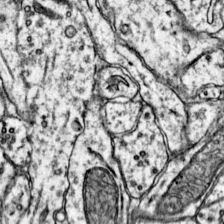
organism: Mouse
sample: Primary visual cortex